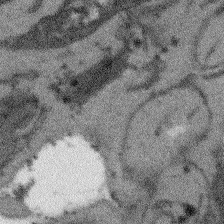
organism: Arabidopsis thaliana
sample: Root tip